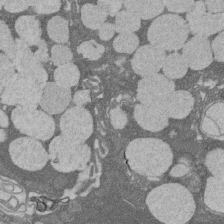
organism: Rat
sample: Salivary granule